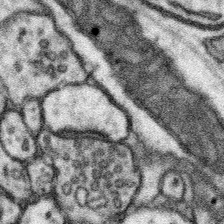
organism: Mouse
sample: Somatosensory cortex neuropil